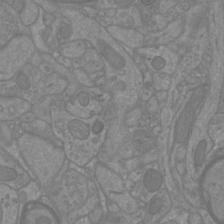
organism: Mouse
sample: Cortical neurons